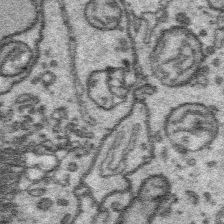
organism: Platynereis dumerilii